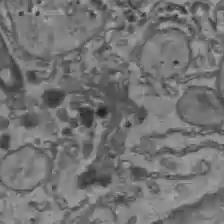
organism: C57BL Mouse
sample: Liver